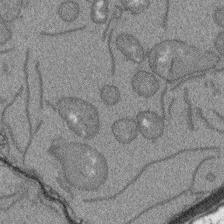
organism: Arabidopsis thaliana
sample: Root tip